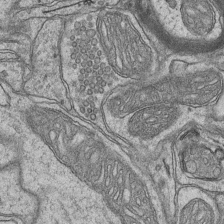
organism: Mouse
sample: CA1 Hippocampus